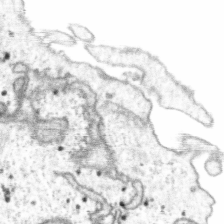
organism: Human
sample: HeLa cells